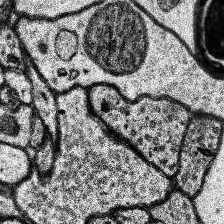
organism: Human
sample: Temporal Lobe